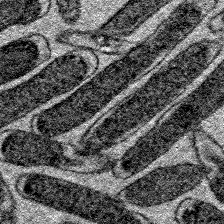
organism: E. coli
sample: E. Coli Bacteria